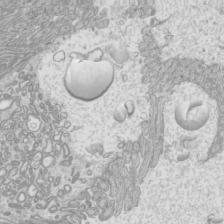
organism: Mouse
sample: Cilia; mouse epididymis